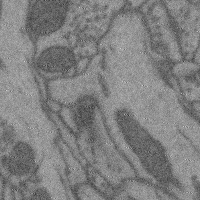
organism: Mouse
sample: Cerebral cortex